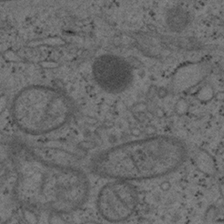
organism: Human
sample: HeLa cells